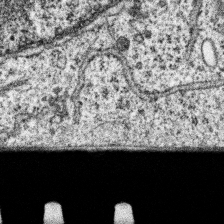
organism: Human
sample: HeLa cells